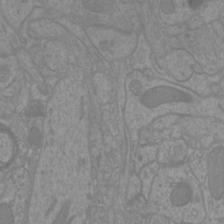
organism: Mouse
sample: Cortical neurons